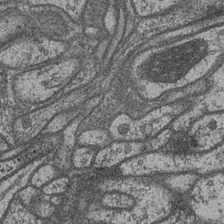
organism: Drosophila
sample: Optic medulla